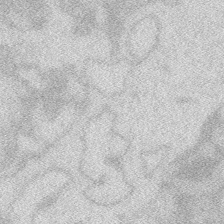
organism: Zebrafish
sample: Macrophage